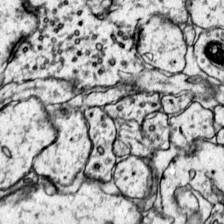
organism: Mouse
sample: Primary visual cortex